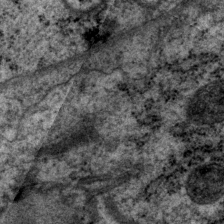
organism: P. pacificus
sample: Pharynx